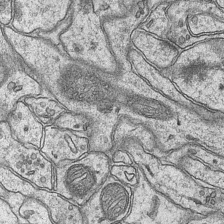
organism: Mouse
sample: CA1 Hippocampus